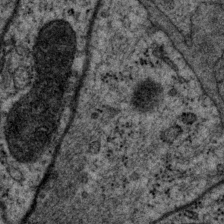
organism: P. pacificus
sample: Pharynx